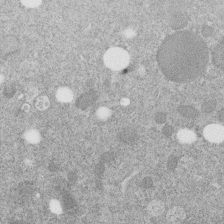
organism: C. elegans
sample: C. elegans embryo early stage